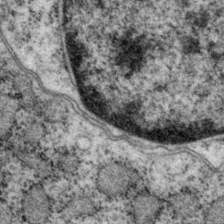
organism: P. pacificus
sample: Pharynx